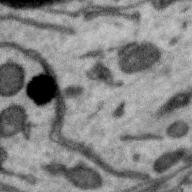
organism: Zebra finch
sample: Brain